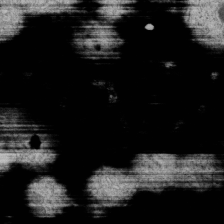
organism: C. elegans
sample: C. elegans embryo early stage